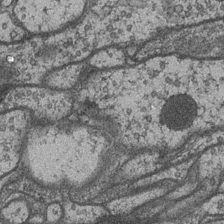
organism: Drosophila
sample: Optic medulla